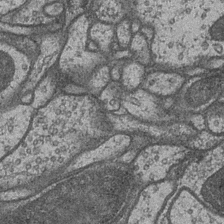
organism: Drosophila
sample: Optic medulla